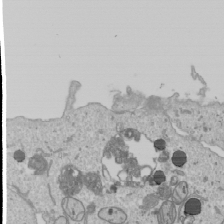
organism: Human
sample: Mitochondria in U2OS cells